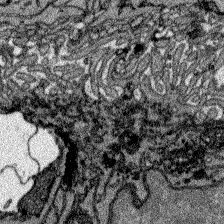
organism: Zebrafish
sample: Larval olfactory bulb